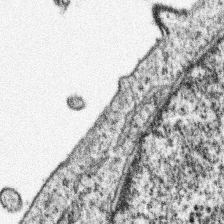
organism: Human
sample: HeLa cells